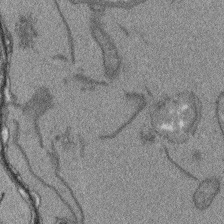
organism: Arabidopsis thaliana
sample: Root tip